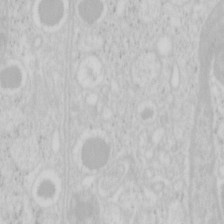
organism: Mouse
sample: Pancreas